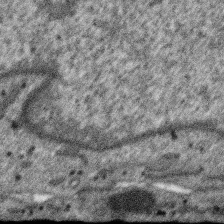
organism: Human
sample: Lung epithelial cells infected with SARS-CoV-2